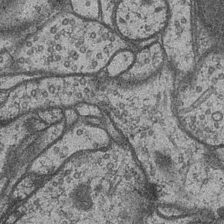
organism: Drosophila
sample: Optic medulla